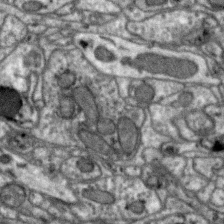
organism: Zebra finch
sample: Brain